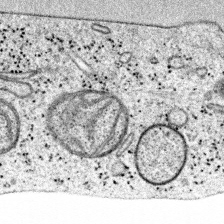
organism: Human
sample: HeLa cells